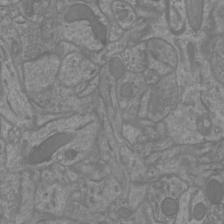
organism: Mouse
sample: Cortical neurons